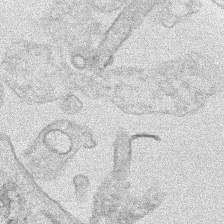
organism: Human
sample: Mitochondria in HCT116 cells